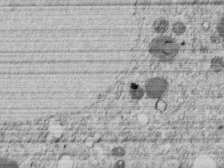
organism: C. elegans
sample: C. elegans embryo early stage